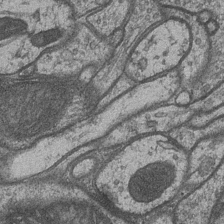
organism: Drosophila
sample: Optic medulla